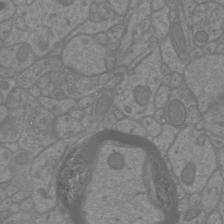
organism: Mouse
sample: Cortical neurons